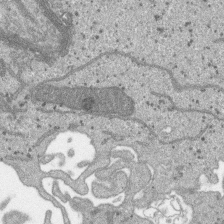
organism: Human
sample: Lung epithelial cells infected with SARS-CoV-2